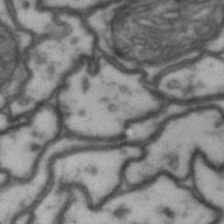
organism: Drosophila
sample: Brain